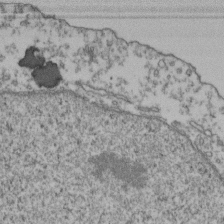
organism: Human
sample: Activated Jurkat CD4+ T cells